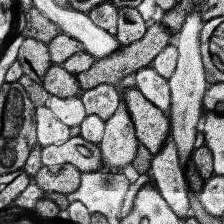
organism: Human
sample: Temporal Lobe